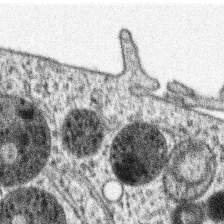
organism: Human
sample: HeLa cells